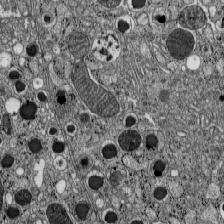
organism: C57BL Mouse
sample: Pancreatic islet